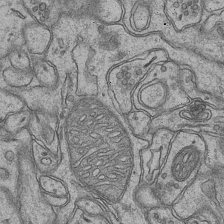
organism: Mouse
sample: CA1 Hippocampus